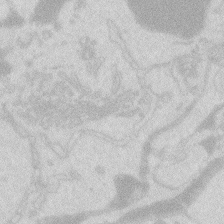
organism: Zebrafish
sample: Macrophage